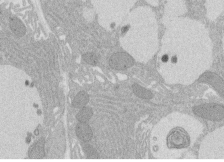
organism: Rat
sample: Salivary granule